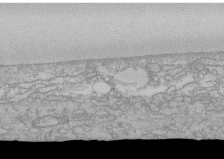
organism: Human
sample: CRL-1474